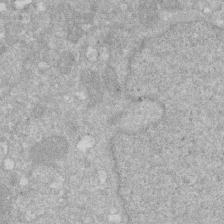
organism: Human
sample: HIV infected U937 cells